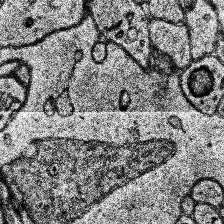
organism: Human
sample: Temporal Lobe